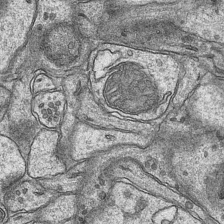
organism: Mouse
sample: CA1 Hippocampus